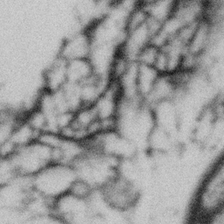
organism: Gemmata obscuriglobus